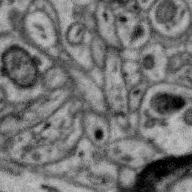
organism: Zebra finch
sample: Brain